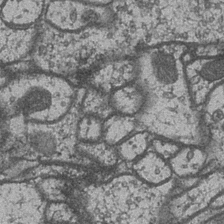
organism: Drosophila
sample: Optic medulla